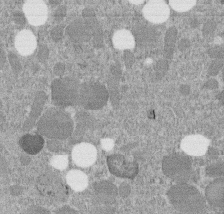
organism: C. elegans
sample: C. elegans embryo early stage